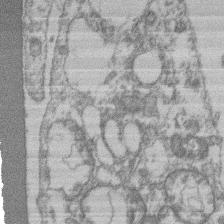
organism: Mouse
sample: T cell stromal cell synapse